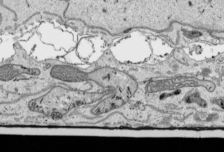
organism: Human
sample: Mitochondria in HCT116 cells